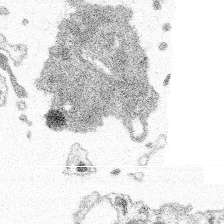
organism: Spongilla lacustris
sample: Multiple